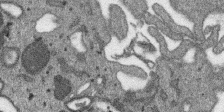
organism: Human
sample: Lung epithelial cells infected with SARS-CoV-2